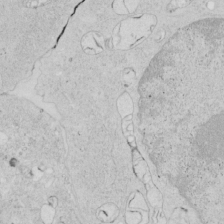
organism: Human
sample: Mitochondria in HCT116 cells